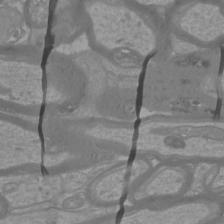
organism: Mouse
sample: Cortical neurons